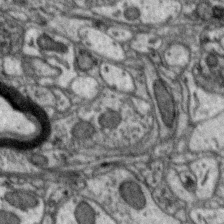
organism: Zebra finch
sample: Brain